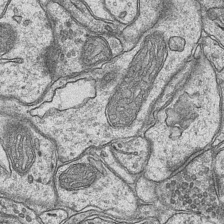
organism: Mouse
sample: CA1 Hippocampus